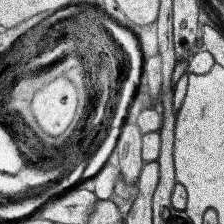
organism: Human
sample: Temporal Lobe